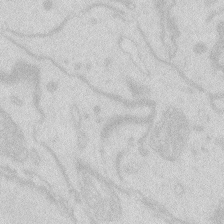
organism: Zebrafish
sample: Macrophage